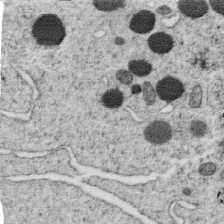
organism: C. elegans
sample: C. elegans oocyte; sperm cells